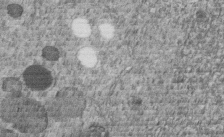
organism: C. elegans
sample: C. elegans embryo early stage